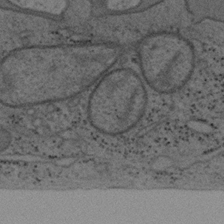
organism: Human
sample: HeLa cells